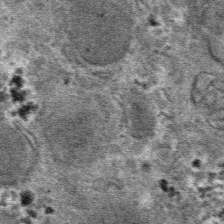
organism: Mouse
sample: Mouse hepatocytes